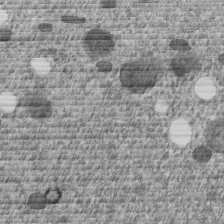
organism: C. elegans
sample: C. elegans embryo early stage